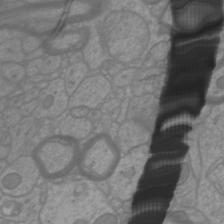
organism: Mouse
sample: Cortical neurons